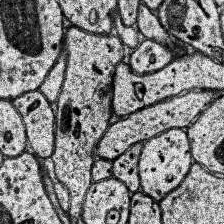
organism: Human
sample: Temporal Lobe